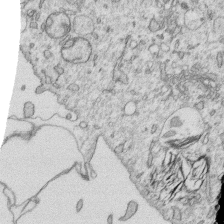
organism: Human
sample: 1205lu cells